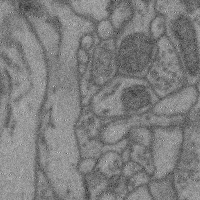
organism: Mouse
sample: Cerebral cortex